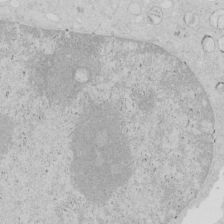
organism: Human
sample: Mitochondria in HCT116 cells